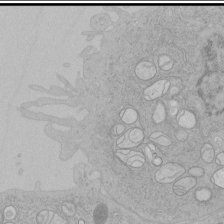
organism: Human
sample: Mitochondria in HCT116 cells